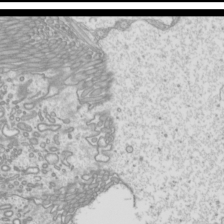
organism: Mouse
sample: Cilia; mouse epididymis